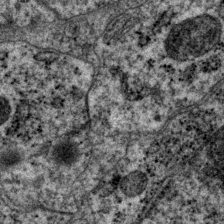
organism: P. pacificus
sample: Pharynx